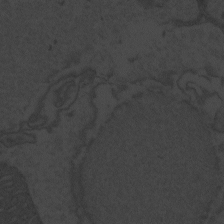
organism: Zebrafish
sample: Macrophage infected with Toxoplasma gondii